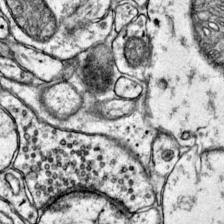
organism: Mouse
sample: Primary visual cortex